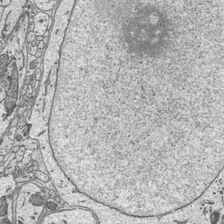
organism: Mouse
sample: Suprachiasmatic nucleus